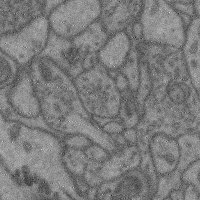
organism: Mouse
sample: Cerebral cortex